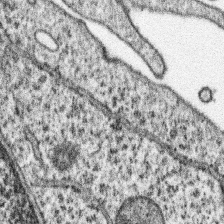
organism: Human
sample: HeLa cells